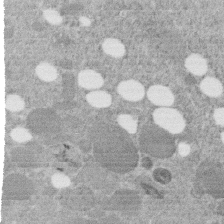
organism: C. elegans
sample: C. elegans embryo early stage